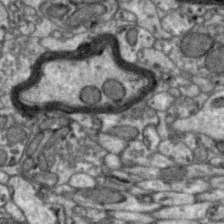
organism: Zebra finch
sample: Brain